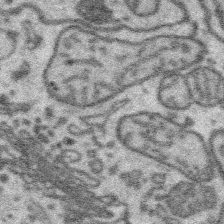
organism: Platynereis dumerilii